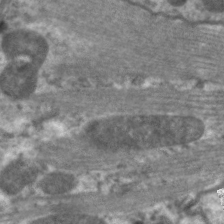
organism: C. elegans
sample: Pharynx